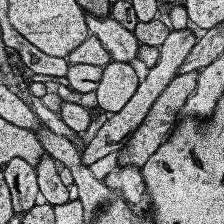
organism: Human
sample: Temporal Lobe